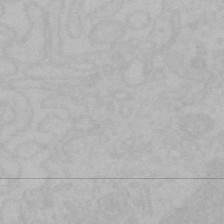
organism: Mouse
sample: Choroid plexus